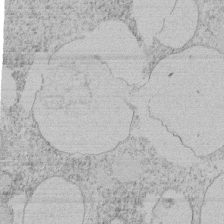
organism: Tetrahymena